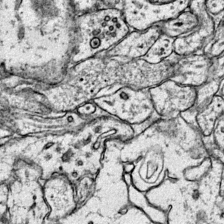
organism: Mouse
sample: Primary visual cortex